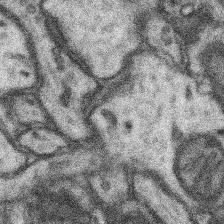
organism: Mouse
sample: Somatosensory cortex neuropil